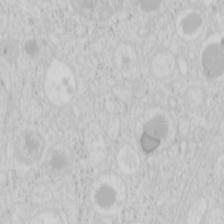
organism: Mouse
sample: Pancreas